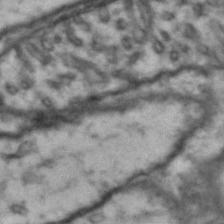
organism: Drosophila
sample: Brain